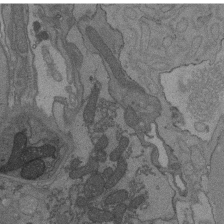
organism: C. elegans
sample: AFD neurons C. elegans